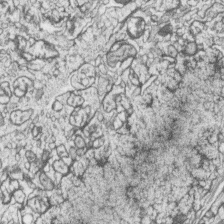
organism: Zebrafish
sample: synaptic ribbons in rod cells and cone cells